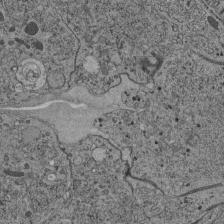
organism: C. elegans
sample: C. elegans pharynx